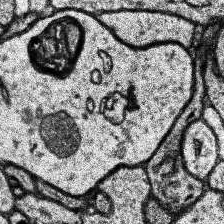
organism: Human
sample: Temporal Lobe